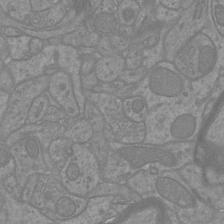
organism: Mouse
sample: Cortical neurons